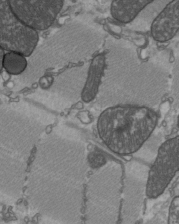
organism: C57BL Mouse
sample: Heart